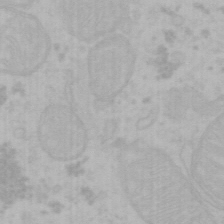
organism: Mouse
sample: Choroid plexus